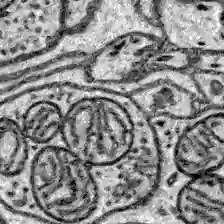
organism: Zebrafish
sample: Brain